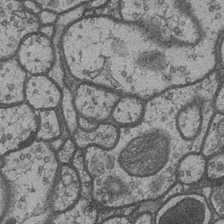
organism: Drosophila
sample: Optic medulla